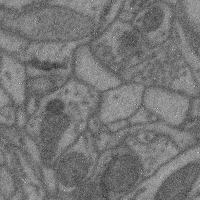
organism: Mouse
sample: Cerebral cortex